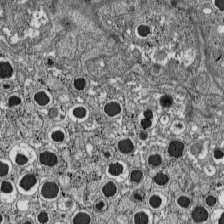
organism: C57BL Mouse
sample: Pancreatic islet